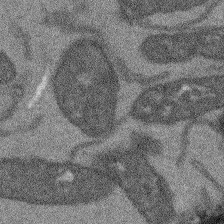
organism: Arabidopsis thaliana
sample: Root tip